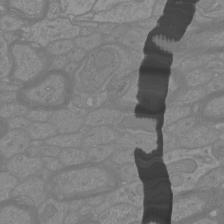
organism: Mouse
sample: Cortical neurons